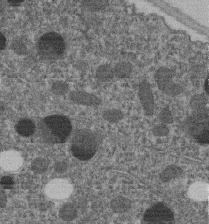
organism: C. elegans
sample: C. elegans embryo early stage